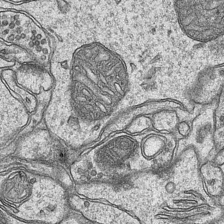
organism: Mouse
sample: CA1 Hippocampus